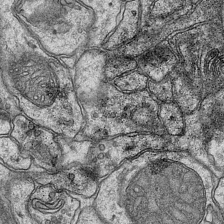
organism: Mouse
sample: CA1 Hippocampus